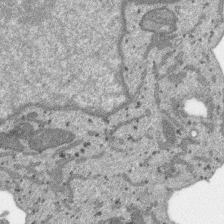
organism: Human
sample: Lung epithelial cells infected with SARS-CoV-2